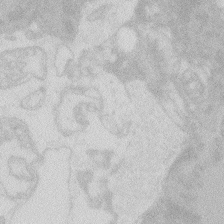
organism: Zebrafish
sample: Macrophage